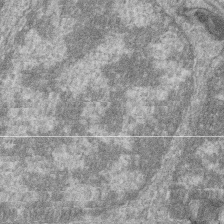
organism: Zebrafish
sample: Cilia; retinal pigment epithelium